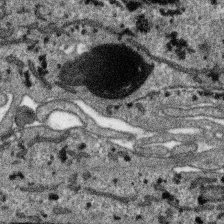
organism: Human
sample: Lung epithelial cells infected with SARS-CoV-2